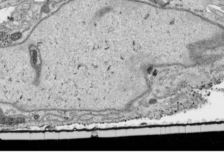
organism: Human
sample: Mitochondria in HCT116 cells